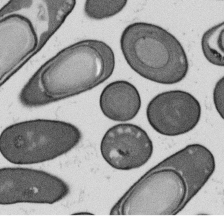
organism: B. subtilis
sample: Bacterial spore